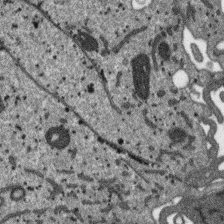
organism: Human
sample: Lung epithelial cells infected with SARS-CoV-2